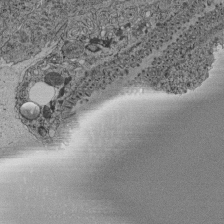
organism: C. elegans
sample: C. elegans pharynx